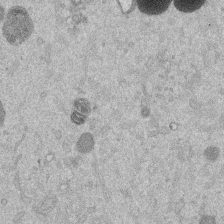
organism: Mouse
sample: Dividing mouse embryo 1 cell stage